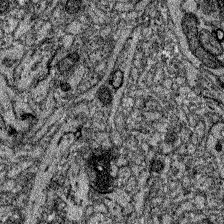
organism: Zebrafish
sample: Larval olfactory bulb